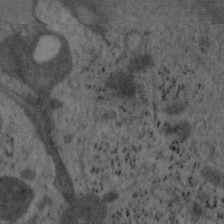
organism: Human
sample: HeLa cells